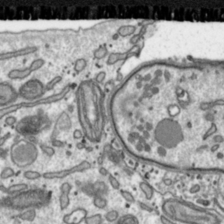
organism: Toxoplasma gondii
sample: Parasites in a vacuole inside a host cell